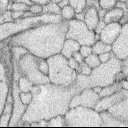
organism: Rabbit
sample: Retina